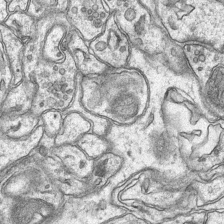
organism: Mouse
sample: CA1 Hippocampus